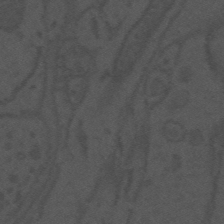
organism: Mouse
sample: Suprachiasmatic nucleus